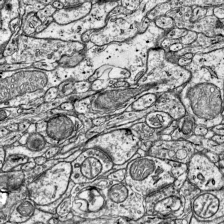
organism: Mouse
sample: Visual Cortex